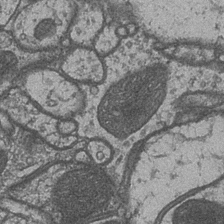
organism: Drosophila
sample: Optic medulla